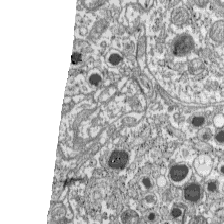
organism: C57BL Mouse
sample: Pancreatic islet